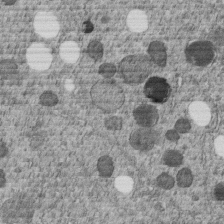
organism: C. elegans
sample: C. elegans embryo early stage